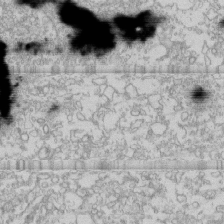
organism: Human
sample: CRL-1474